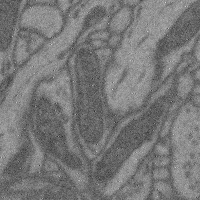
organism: Mouse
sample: Cerebral cortex